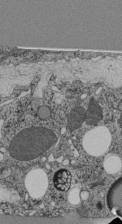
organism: C. elegans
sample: C. elegans pharynx